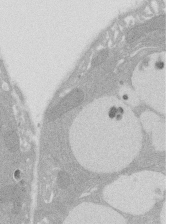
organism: Rat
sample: Salivary granule